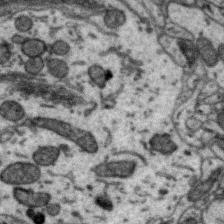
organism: Zebra finch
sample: Brain